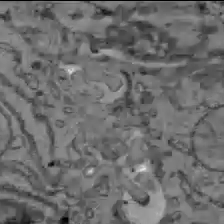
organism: C57BL Mouse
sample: Liver